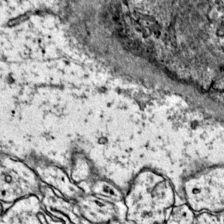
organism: Mouse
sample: Primary visual cortex